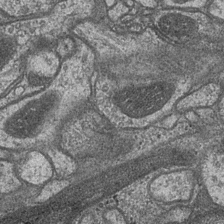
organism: Drosophila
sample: Optic medulla